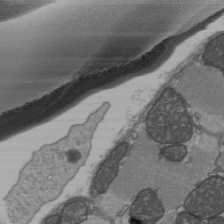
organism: C57BL Mouse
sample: Heart